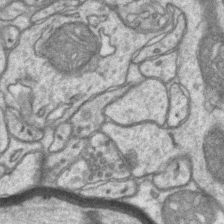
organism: Mouse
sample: CA1 Hippocampus